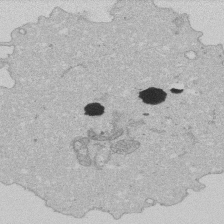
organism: Human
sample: Activated Jurkat CD4+ T cells